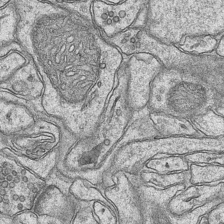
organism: Mouse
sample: CA1 Hippocampus